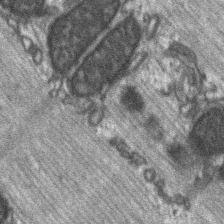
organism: C57BL Mouse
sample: Soleus